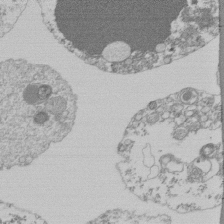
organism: Mouse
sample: Activated Pmel transgenic CD8+ T Cells